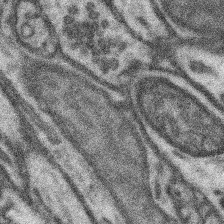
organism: Mouse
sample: Somatosensory cortex neuropil